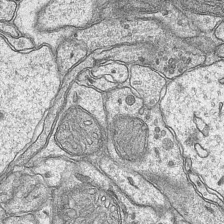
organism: Mouse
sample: CA1 Hippocampus